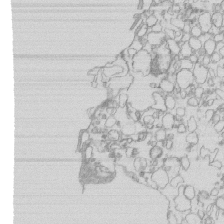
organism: Mouse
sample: Macrophages